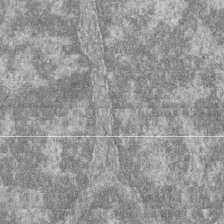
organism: Zebrafish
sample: Cilia; retinal pigment epithelium